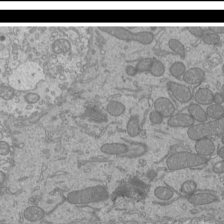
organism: Mouse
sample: Cilia; mouse epididymis